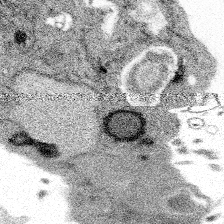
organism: Spongilla lacustris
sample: Multiple